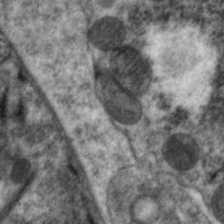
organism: C. elegans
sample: Pharynx